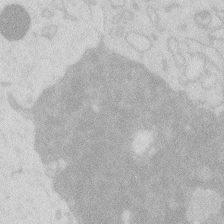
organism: Zebrafish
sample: Macrophage